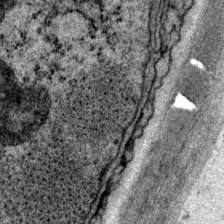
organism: P. pacificus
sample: Pharynx